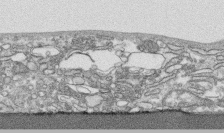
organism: Human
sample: CRL-1474